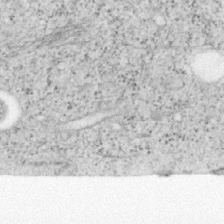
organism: Mouse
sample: OT-I killer T cells with ID8 ovarian cancer cells